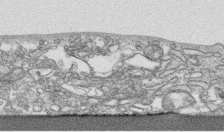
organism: Human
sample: CRL-1474